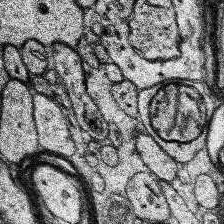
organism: Human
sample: Temporal Lobe